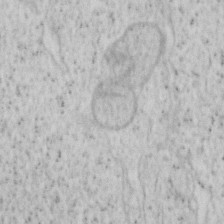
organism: Human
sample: HeLa cells